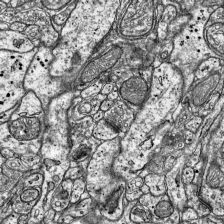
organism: Mouse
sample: Visual Cortex